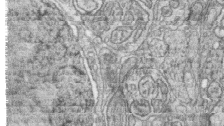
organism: Zebrafish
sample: synaptic ribbons in rod cells and cone cells